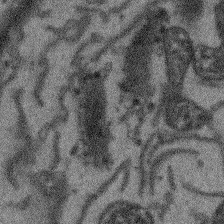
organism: Arabidopsis thaliana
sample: Root tip